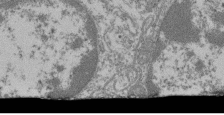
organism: Mouse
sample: Glomerulus